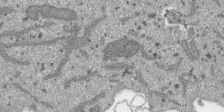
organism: Human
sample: Lung epithelial cells infected with SARS-CoV-2